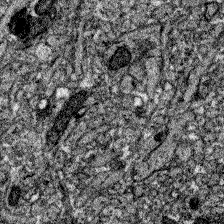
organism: Zebrafish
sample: Larval olfactory bulb